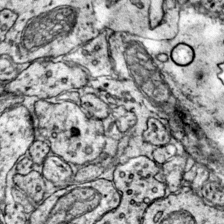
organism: Mouse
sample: Primary visual cortex